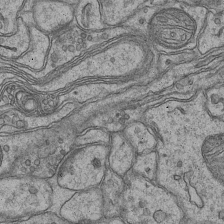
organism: Mouse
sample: CA1 Hippocampus